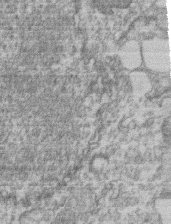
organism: Mouse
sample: T cell stromal cell synapse